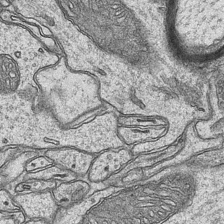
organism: Mouse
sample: CA1 Hippocampus